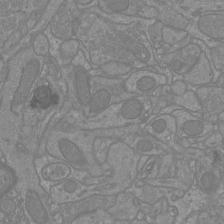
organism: Mouse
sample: Cortical neurons